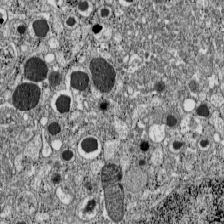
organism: C57BL Mouse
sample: Pancreatic islet